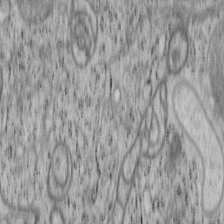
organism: Human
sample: HeLa cells